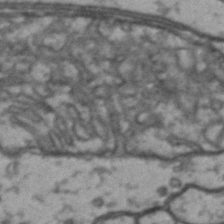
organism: Drosophila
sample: Brain